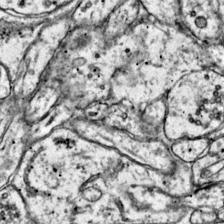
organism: Mouse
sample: Primary visual cortex